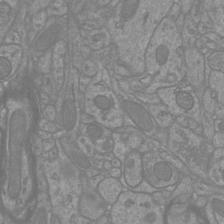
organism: Mouse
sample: Cortical neurons